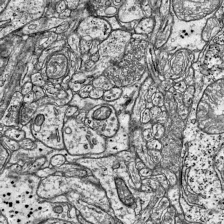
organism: Mouse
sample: Visual Cortex